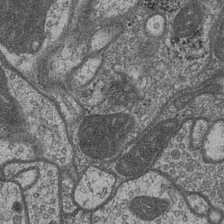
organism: Drosophila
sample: Optic medulla